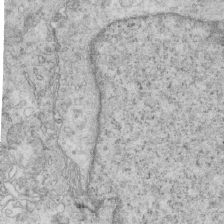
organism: Mouse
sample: Multiciliated cells